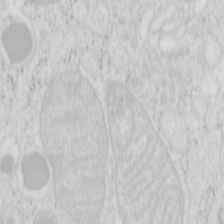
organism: Mouse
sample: Pancreas